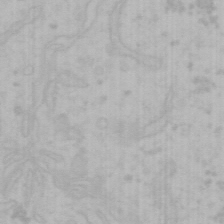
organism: Mouse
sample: Choroid plexus